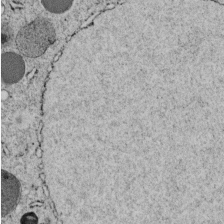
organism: C. elegans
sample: C. elegans embryo early stage